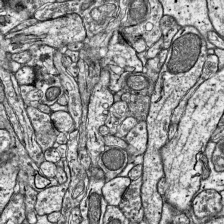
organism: Mouse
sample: Visual Cortex